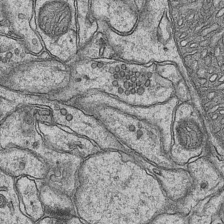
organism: Mouse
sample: CA1 Hippocampus